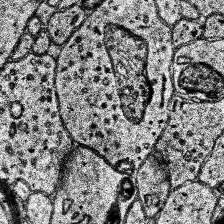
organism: Human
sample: Temporal Lobe